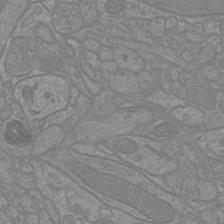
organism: Mouse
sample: Cortical neurons